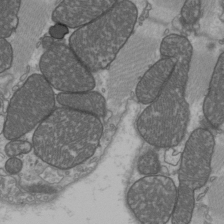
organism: C57BL Mouse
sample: Heart